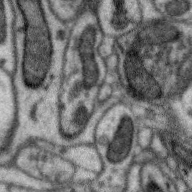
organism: Zebra finch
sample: Brain